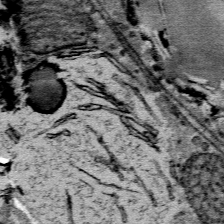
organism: Mouse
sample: Mouse Salivary gland